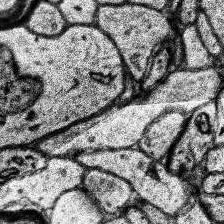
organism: Human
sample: Temporal Lobe